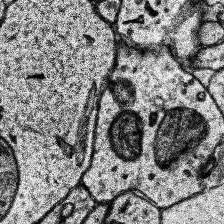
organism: Human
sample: Temporal Lobe